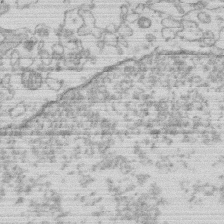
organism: Human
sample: Macrophage cells